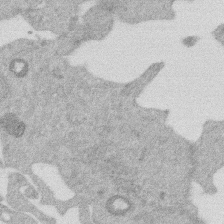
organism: Mouse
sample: Dividing mouse embryo 1 cell stage